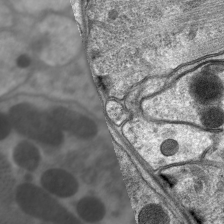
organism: C. elegans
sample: Pharynx